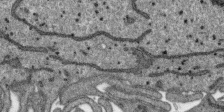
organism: Human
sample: Lung epithelial cells, uninfected (mock) control